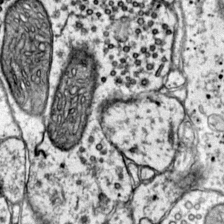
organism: Mouse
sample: Primary visual cortex